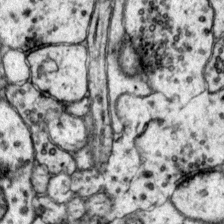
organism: Mouse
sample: Primary visual cortex